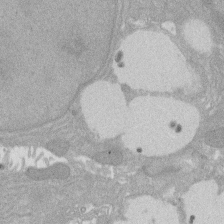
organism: Rat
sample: Salivary granule